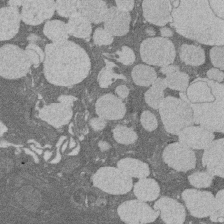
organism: Rat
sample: Salivary granule